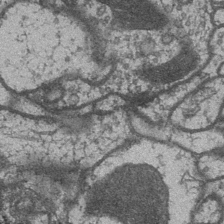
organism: Drosophila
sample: Optic medulla